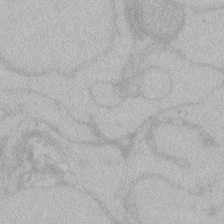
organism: Zebrafish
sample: Macrophage infected with Toxoplasma gondii